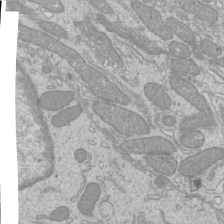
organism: Mouse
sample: Cilia; mouse epididymis